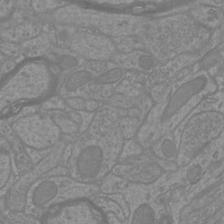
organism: Mouse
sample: Cortical neurons